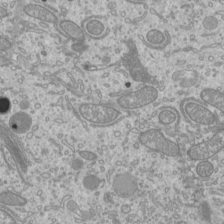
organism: Mouse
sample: Cilia; mouse epididymis